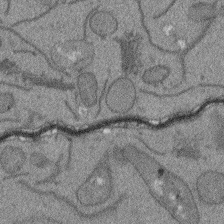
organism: Arabidopsis thaliana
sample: Root tip